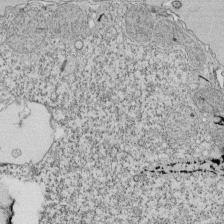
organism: Tetrahymena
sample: Cilia in tetrahymena